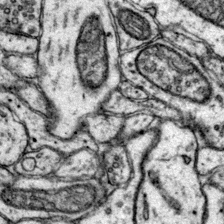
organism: Mouse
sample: Primary visual cortex